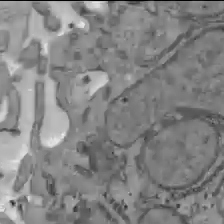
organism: C57BL Mouse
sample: Liver